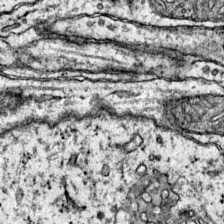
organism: Mouse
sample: Primary visual cortex